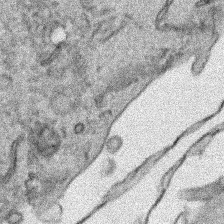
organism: Human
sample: Mitochondria in HCT116 cells